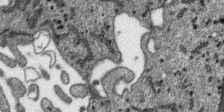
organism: Human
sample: Lung epithelial cells infected with SARS-CoV-2